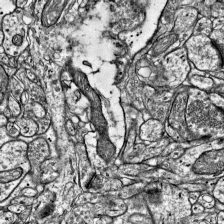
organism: Mouse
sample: Visual Cortex